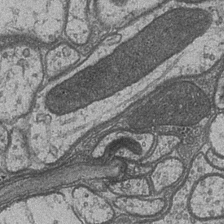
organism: Drosophila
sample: Optic medulla